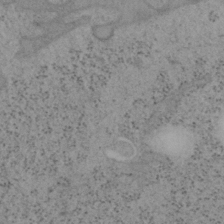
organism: Mouse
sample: OT-I killer T cells with ID8 ovarian cancer cells